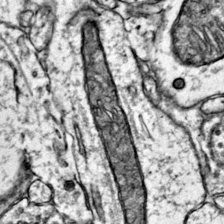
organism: Mouse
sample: Primary visual cortex